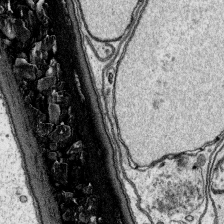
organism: Platynereis dumerilii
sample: Parapodia